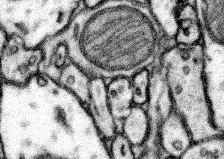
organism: Mouse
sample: Somatosensory cortex neuropil